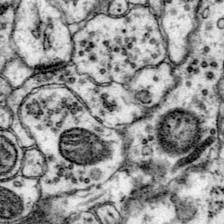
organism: Mouse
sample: Primary visual cortex